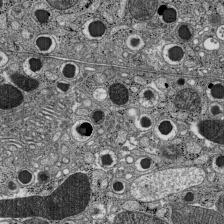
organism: C57BL Mouse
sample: Pancreatic islet